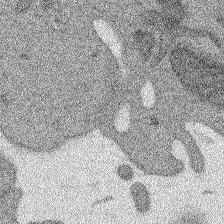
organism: Human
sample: HeLa cells